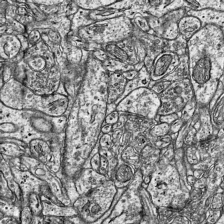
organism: Mouse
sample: Visual Cortex